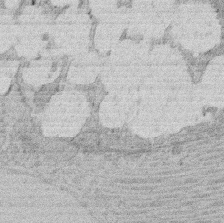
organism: Rat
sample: Salivary granule